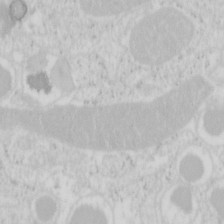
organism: Mouse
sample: Pancreas